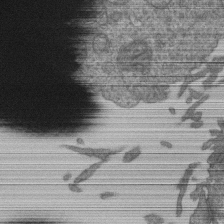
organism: Human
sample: Retinal organoid Rod and Cone cells